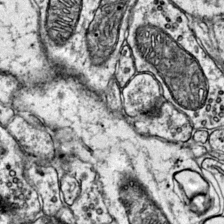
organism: Mouse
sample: Primary visual cortex